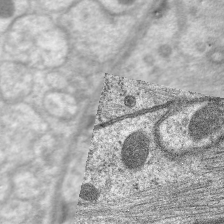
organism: C. elegans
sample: Pharynx